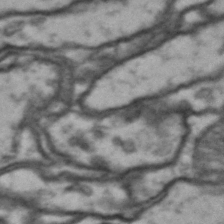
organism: Drosophila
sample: Brain